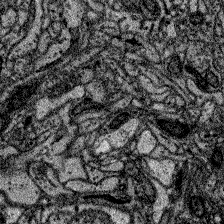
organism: Zebrafish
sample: Larval olfactory bulb